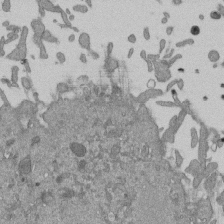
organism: Mouse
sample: ED-1 cell nuclei; centrioles